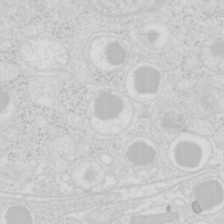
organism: Mouse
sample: Pancreas